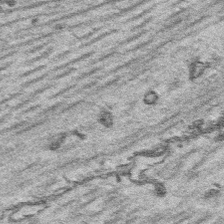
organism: Platynereis dumerilii